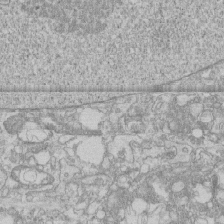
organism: Human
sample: CRL-1474